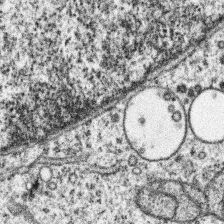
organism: Human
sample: HeLa cells